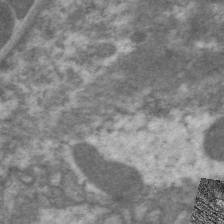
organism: C. elegans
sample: Pharynx